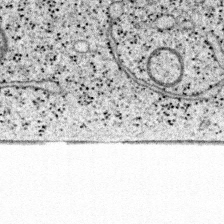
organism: Human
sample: HeLa cells